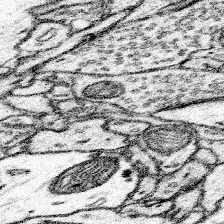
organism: Mouse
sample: Somatosensory cortex neuropil